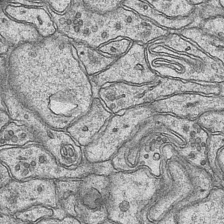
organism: Mouse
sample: CA1 Hippocampus